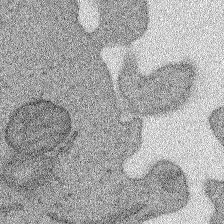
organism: Human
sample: HeLa cells